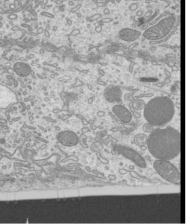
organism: Mouse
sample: Cilia; mouse epididymis